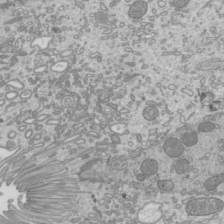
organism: Mouse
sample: Cilia; mouse epididymis